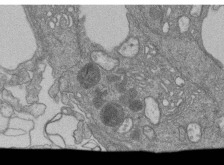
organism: Human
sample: Retinal organoid Rod and Cone cells